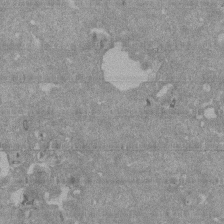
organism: Mouse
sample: ED-1 cell nuclei; centrioles